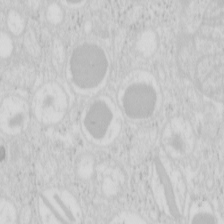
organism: Mouse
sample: Pancreas